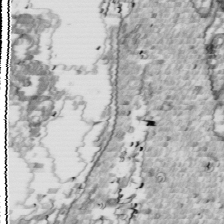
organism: Drosophila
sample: Cell division; meiosis; drosophila spermatocytes